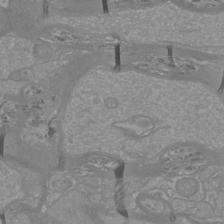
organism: Mouse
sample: Cortical neurons